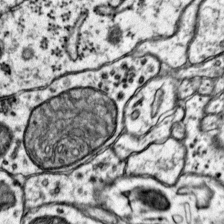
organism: Mouse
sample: Primary visual cortex